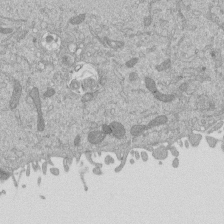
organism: Mouse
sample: ED-1 cell nuclei; centrioles